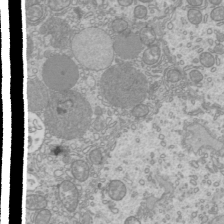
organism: Mouse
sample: Cilia; mouse epididymis